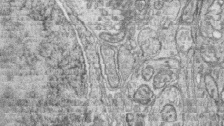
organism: Zebrafish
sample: synaptic ribbons in rod cells and cone cells